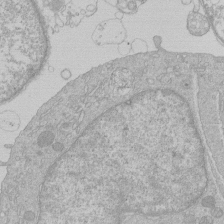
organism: Human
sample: Macrophage cells